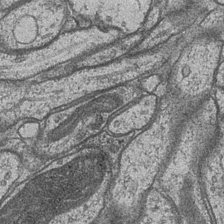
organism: Drosophila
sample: Optic medulla